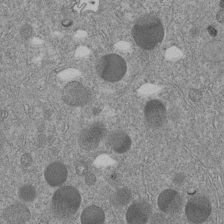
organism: C. elegans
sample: C. elegans embryo early stage